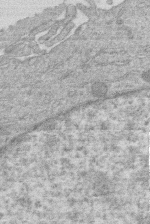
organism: Human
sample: Macrophage cells